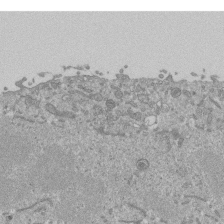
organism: Mouse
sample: ED-1 cell nuclei; centrioles